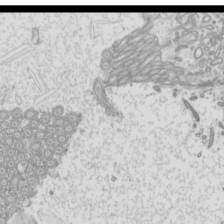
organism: Mouse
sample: Cilia; mouse epididymis